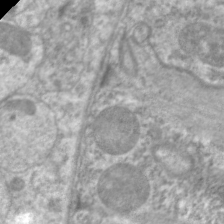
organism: C. elegans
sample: Pharynx